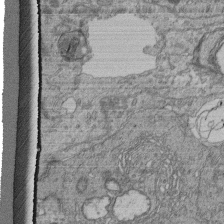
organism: Human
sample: Retinal organoid Rod and Cone cells